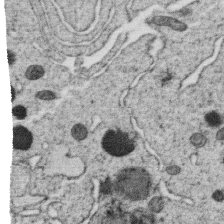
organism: C. elegans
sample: C. elegans oocyte; sperm cells